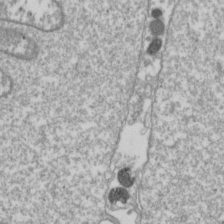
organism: Drosophila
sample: Cell division; meiosis; drosophila spermatocytes